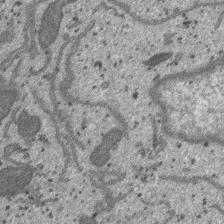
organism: Human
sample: Lung epithelial cells infected with SARS-CoV-2